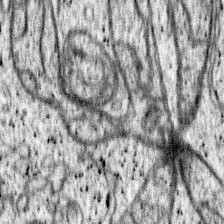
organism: Human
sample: HeLa cells